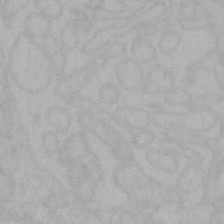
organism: Mouse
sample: Choroid plexus